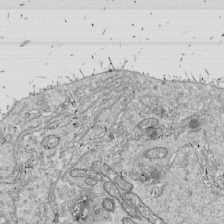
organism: Drosophila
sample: Cell division; meiosis; drosophila spermatocytes